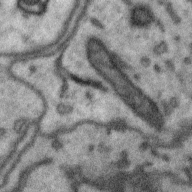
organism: Zebra finch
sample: Brain